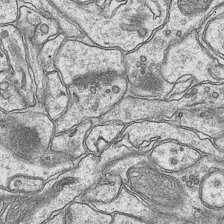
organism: Mouse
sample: CA1 Hippocampus